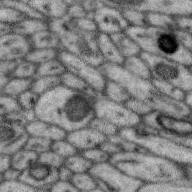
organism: Zebra finch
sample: Brain